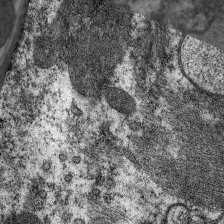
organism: C. elegans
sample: Pharynx